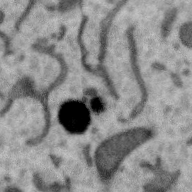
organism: Zebra finch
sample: Brain